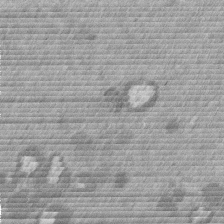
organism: Mouse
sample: Dividing mouse embryo 1 cell stage